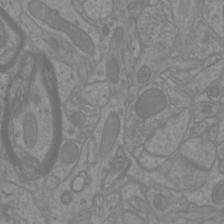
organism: Mouse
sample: Cortical neurons